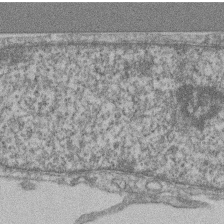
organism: Mouse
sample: T cell stromal cell synapse